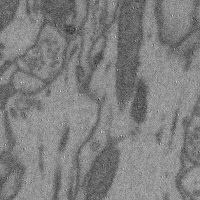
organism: Mouse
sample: Cerebral cortex